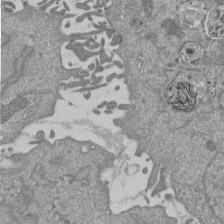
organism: Mouse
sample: ED-1 cell nuclei; centrioles